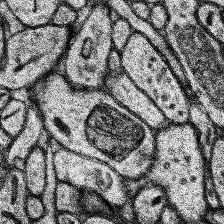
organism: Human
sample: Temporal Lobe